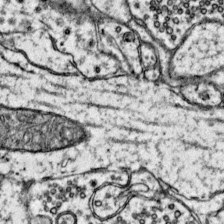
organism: Mouse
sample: Primary visual cortex